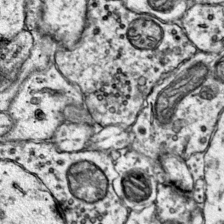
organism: Mouse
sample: Primary visual cortex